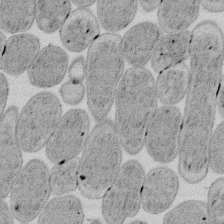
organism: E. coli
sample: Bacterial nucleoid